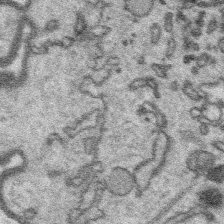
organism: Platynereis dumerilii